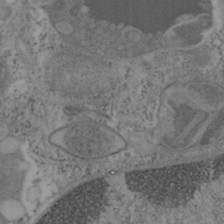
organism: Mouse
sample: OT-I killer T cells with ID8 ovarian cancer cells